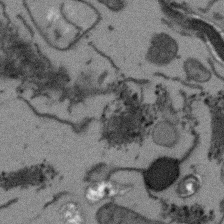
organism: Arabidopsis thaliana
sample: Root tip